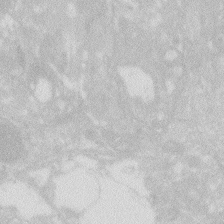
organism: Zebrafish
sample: Macrophage